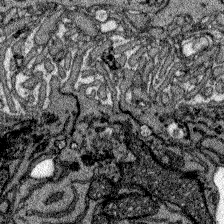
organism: Zebrafish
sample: Larval olfactory bulb